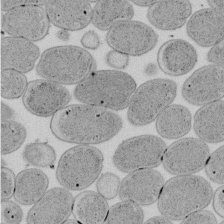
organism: E. coli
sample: Bacterial nucleoid